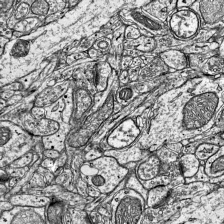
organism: Mouse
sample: Visual Cortex